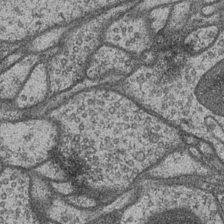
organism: Drosophila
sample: Optic medulla